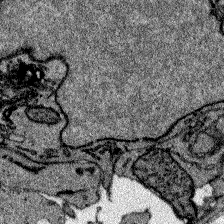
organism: Zebrafish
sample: Larval olfactory bulb